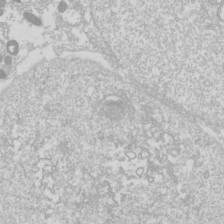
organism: Drosophila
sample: Cell division; meiosis; drosophila spermatocytes